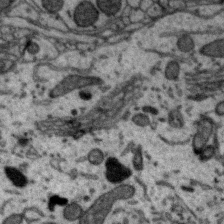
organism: Zebra finch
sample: Brain